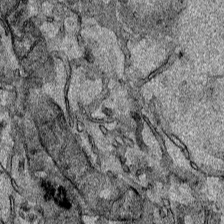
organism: Human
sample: Mitochondria in HCT116 cells